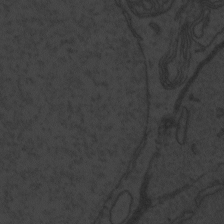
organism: Zebrafish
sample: Macrophage infected with Toxoplasma gondii